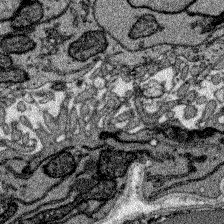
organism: Zebrafish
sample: Larval olfactory bulb